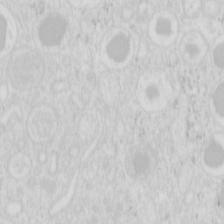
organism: Mouse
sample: Pancreas